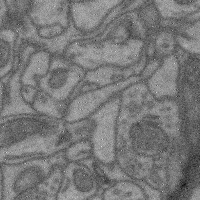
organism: Mouse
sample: Cerebral cortex